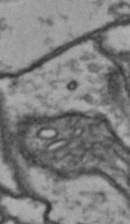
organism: Drosophila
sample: Brain